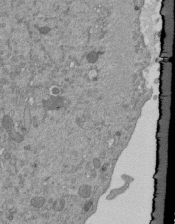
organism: Mouse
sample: ED-1 cell nuclei; centrioles